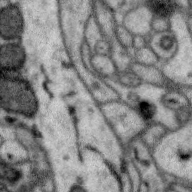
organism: Zebra finch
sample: Brain